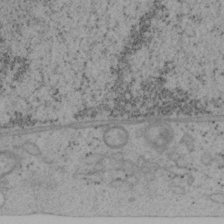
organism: Human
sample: HeLa cells